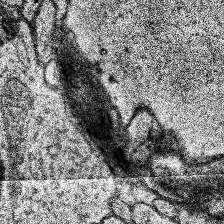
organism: Human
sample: Temporal Lobe